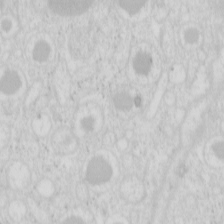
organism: Mouse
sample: Pancreas